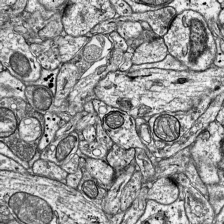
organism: Mouse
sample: Visual Cortex